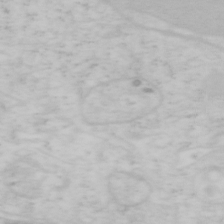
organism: Mouse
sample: OT-I killer T cells with ID8 ovarian cancer cells